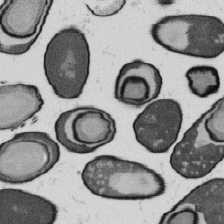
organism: B. subtilis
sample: Bacterial spore